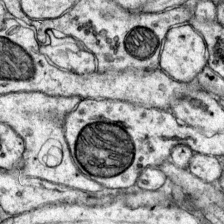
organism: Mouse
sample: Primary visual cortex